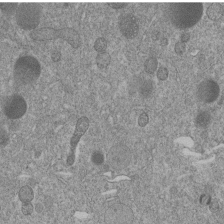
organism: C. elegans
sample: C. elegans embryo early stage